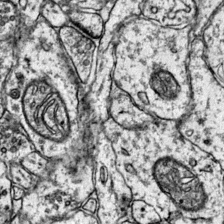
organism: Mouse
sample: Primary visual cortex